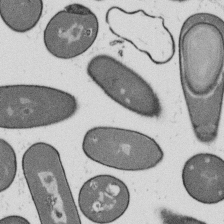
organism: B. subtilis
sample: Bacterial spore